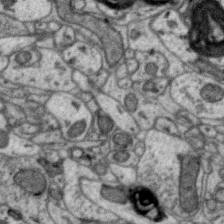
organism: Zebra finch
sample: Brain